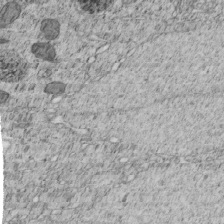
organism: C. elegans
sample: C. elegans embryo early stage